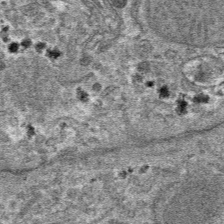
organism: Mouse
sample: Mouse hepatocytes